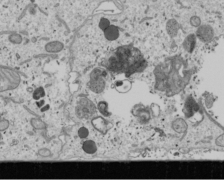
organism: Human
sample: Mitochondria in U2OS cells